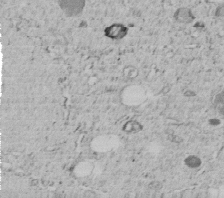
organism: C. elegans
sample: C. elegans embryo early stage